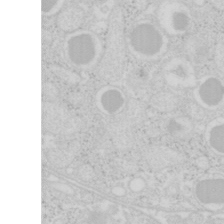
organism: Mouse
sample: Pancreas